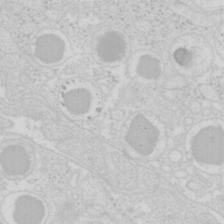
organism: Mouse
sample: Pancreas